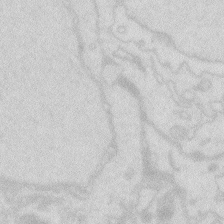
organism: Zebrafish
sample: Macrophage